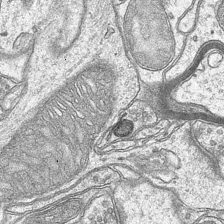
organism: Mouse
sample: CA1 Hippocampus